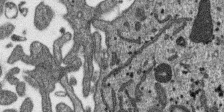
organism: Human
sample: Lung epithelial cells infected with SARS-CoV-2